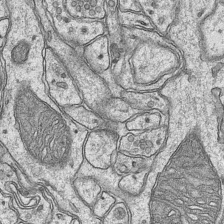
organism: Mouse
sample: CA1 Hippocampus